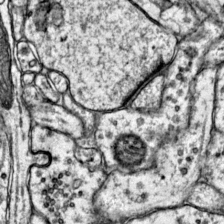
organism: Mouse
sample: Primary visual cortex